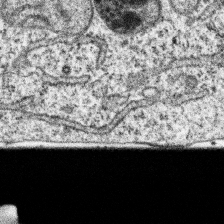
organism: Human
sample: HeLa cells